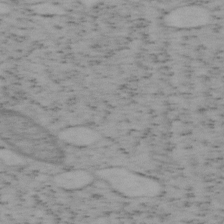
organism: Mouse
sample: OT-I killer T cells with ID8 ovarian cancer cells